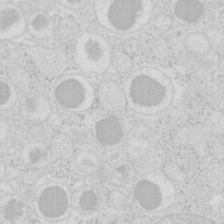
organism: Mouse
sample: Pancreas